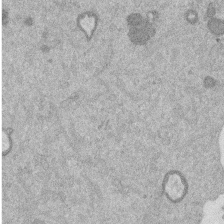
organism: Mouse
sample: Dividing mouse embryo 1 cell stage